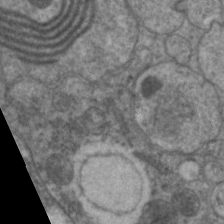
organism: C. elegans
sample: Pharynx